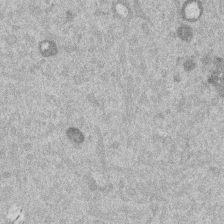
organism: Mouse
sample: Dividing mouse embryo 1 cell stage